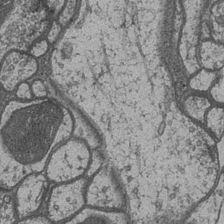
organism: Drosophila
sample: Optic medulla